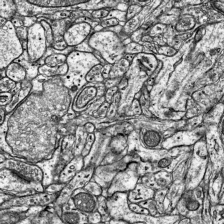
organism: Mouse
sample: Visual Cortex